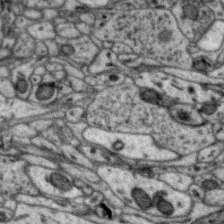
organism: Zebra finch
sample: Brain